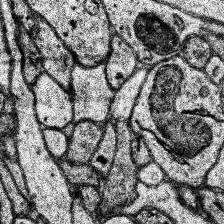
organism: Human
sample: Temporal Lobe